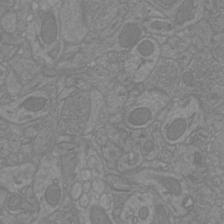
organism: Mouse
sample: Cortical neurons